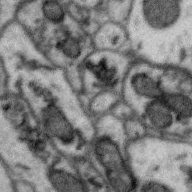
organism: Zebra finch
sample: Brain